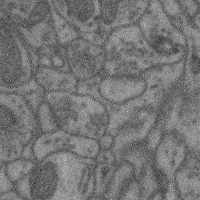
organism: Mouse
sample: Cerebral cortex